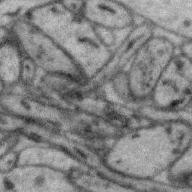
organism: Zebra finch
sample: Brain